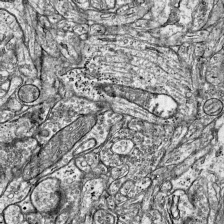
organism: Mouse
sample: Visual Cortex